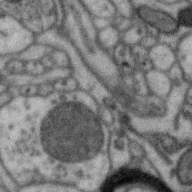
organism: Zebra finch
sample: Brain